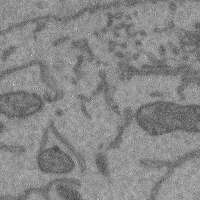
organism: Mouse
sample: Cerebral cortex